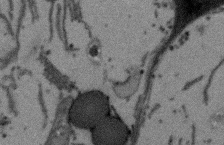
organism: Arabidopsis thaliana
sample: Root tip